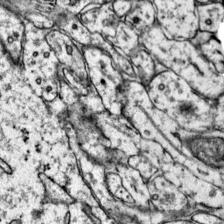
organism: Mouse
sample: Primary visual cortex